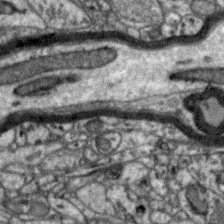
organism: Zebra finch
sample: Brain